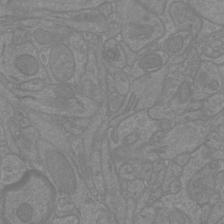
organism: Mouse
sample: Cortical neurons